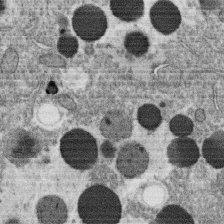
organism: C. elegans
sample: C. elegans oocyte; sperm cells